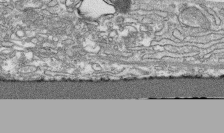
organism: Human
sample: CRL-1474